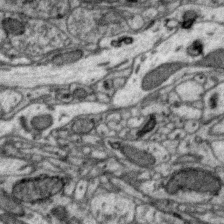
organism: Zebra finch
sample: Brain